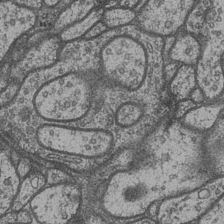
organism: Drosophila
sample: Optic medulla